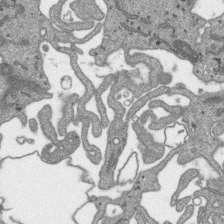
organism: Human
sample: Lung epithelial cells infected with SARS-CoV-2